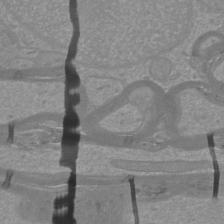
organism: Mouse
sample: Cortical neurons